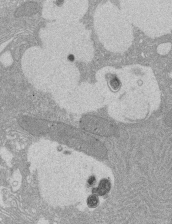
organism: Rat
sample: Salivary granule